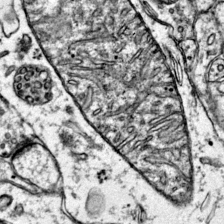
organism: Mouse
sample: Primary visual cortex